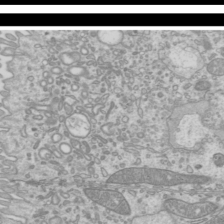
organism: Mouse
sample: Cilia; mouse epididymis